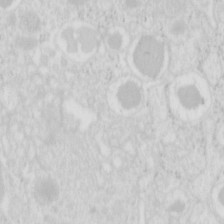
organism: Mouse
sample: Pancreas